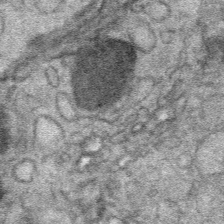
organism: Mouse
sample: Mouse Salivary gland